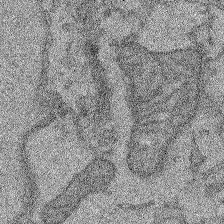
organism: Human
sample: HeLa cells